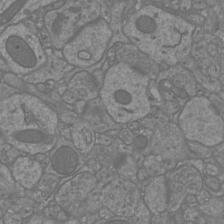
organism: Mouse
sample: Cortical neurons